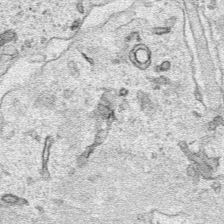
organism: Human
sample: Mitochondria in HCT116 cells